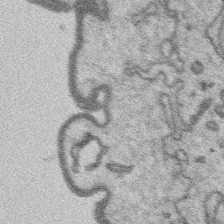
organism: Platynereis dumerilii